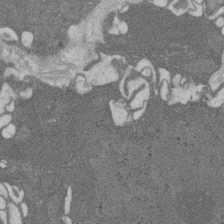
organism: Rat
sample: Salivary granule